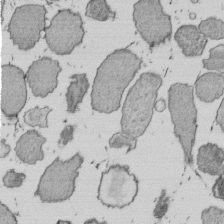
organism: E. coli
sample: Bacterial nucleoid